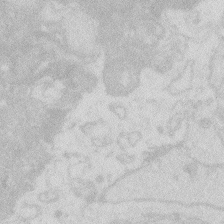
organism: Zebrafish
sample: Macrophage